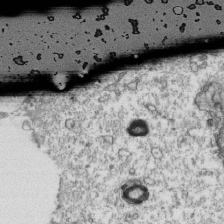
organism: Mouse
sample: Activated OT-1 CD8+ T cells